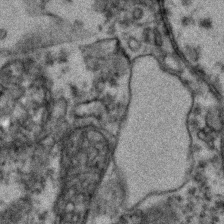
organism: Zebrafish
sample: Zebrafish embryo